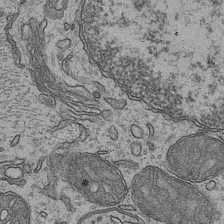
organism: Mouse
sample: CA1 Hippocampus